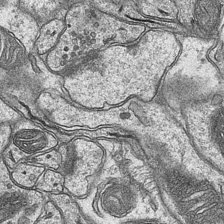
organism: Mouse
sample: CA1 Hippocampus